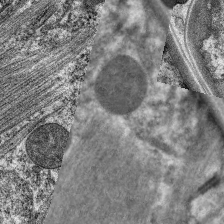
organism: C. elegans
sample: Pharynx